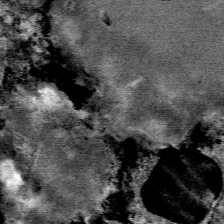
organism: Mouse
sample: Mouse Salivary gland